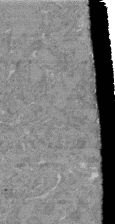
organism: Mouse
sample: Glomerulus